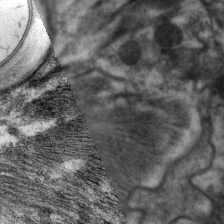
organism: C. elegans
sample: Pharynx